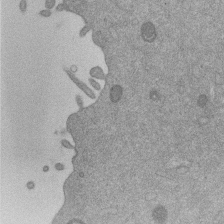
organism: Mouse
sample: Dividing mouse embryo 1 cell stage